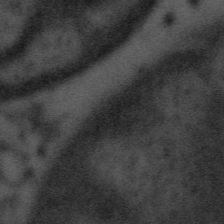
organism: Tuwongella immobilis